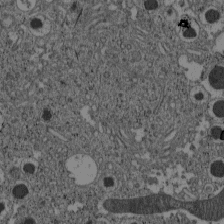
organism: C57BL Mouse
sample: Pancreatic islet